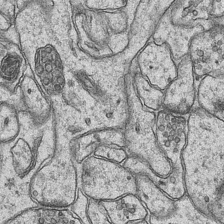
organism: Mouse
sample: CA1 Hippocampus